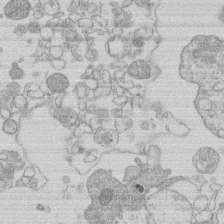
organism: Human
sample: Macrophage cells